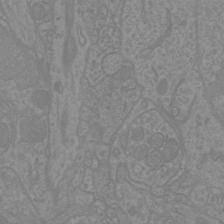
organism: Mouse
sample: Cortical neurons